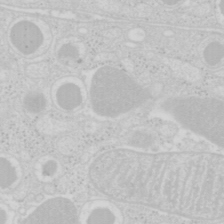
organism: Mouse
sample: Pancreas